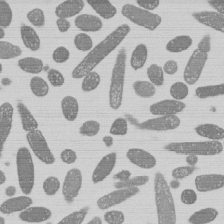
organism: E. coli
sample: Bacterial nucleoid